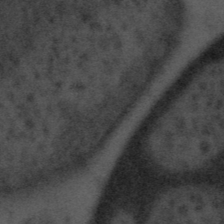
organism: Tuwongella immobilis